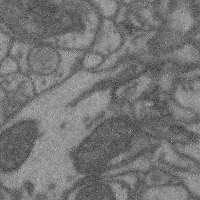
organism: Mouse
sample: Cerebral cortex